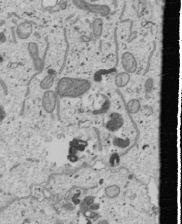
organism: Human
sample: Mitochondria in U2OS cells